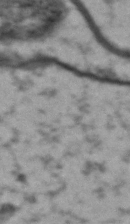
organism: Drosophila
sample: Brain